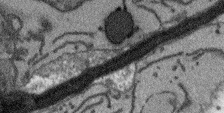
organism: Arabidopsis thaliana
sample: Root tip